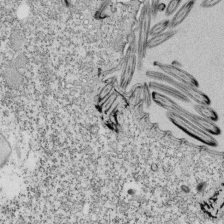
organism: Tetrahymena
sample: Cilia in tetrahymena